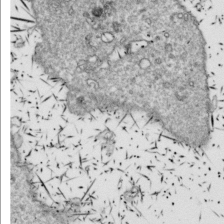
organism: Drosophila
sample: Cell division; meiosis; drosophila spermatocytes